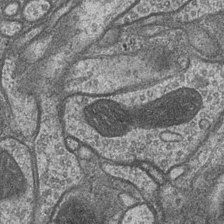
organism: Drosophila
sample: Optic medulla